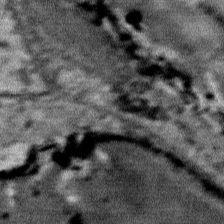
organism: Mouse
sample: Mouse Salivary gland